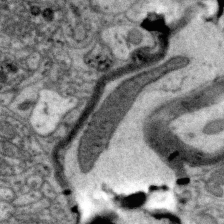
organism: Zebra finch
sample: Brain